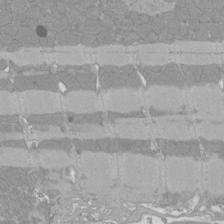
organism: Rat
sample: Left ventricle